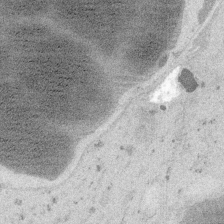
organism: Embia sp.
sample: Silk gland